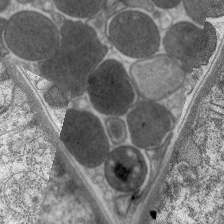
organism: C. elegans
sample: Pharynx